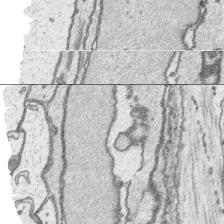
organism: Platynereis dumerilii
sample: Parapodia